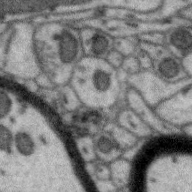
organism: Zebra finch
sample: Brain